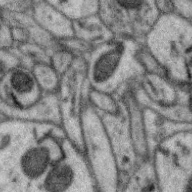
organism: Zebra finch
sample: Brain